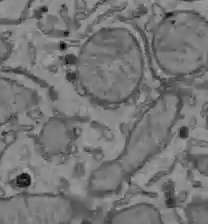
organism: C57BL Mouse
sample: Liver